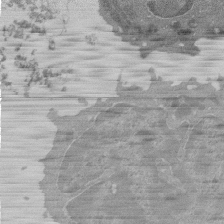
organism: Mouse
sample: Activated Pmel transgenic CD8+ T Cells